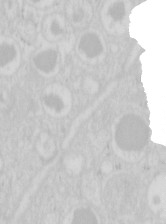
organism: Mouse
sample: Pancreas